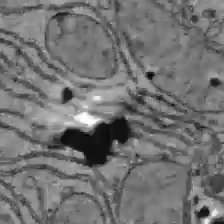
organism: C57BL Mouse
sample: Liver